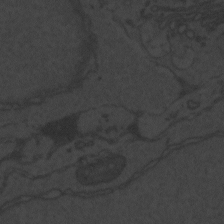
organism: Zebrafish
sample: Macrophage infected with Toxoplasma gondii